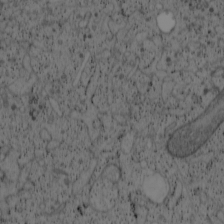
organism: African green monkey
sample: COS-7 cells